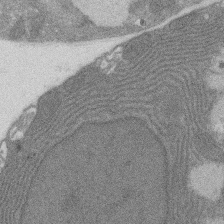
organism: Rat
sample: Salivary granule